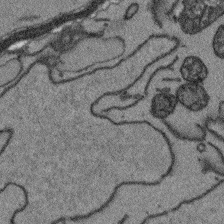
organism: Arabidopsis thaliana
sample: Root tip